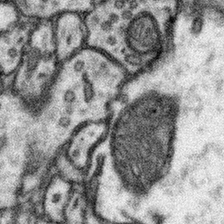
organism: Mouse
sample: Somatosensory cortex neuropil